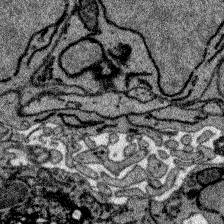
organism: Zebrafish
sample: Larval olfactory bulb